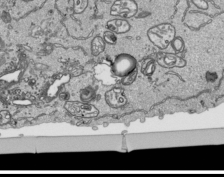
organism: Human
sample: Mitochondria in HCT116 cells